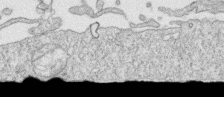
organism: Human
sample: HeLa cell HIV synapse